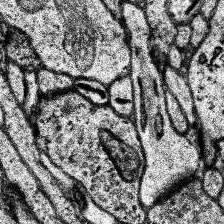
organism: Human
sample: Temporal Lobe